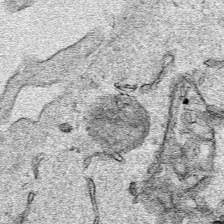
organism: Human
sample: Mitochondria in HCT116 cells